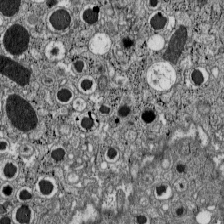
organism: C57BL Mouse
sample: Pancreatic islet